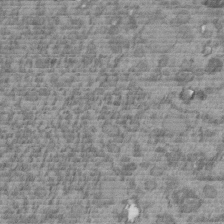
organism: C. elegans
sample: C. elegans embryo early stage